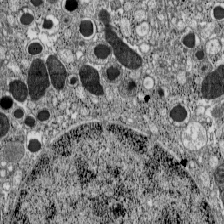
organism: C57BL Mouse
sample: Pancreatic islet